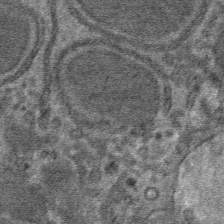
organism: Mouse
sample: Mouse hepatocytes